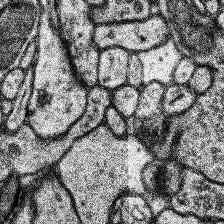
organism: Human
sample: Temporal Lobe